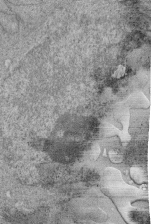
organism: Human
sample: Retinal organoid Rod and Cone cells